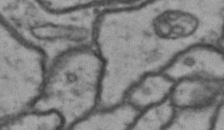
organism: Drosophila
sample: Brain